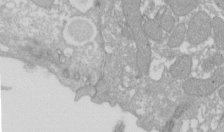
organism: Xenopus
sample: Cilia; centrioles in frog embryo cells